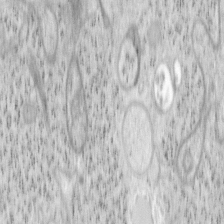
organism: Human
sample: HeLa cells